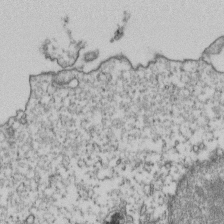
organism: Human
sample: Activated Jurkat CD4+ T cells